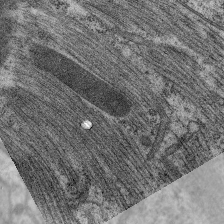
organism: C. elegans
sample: Pharynx